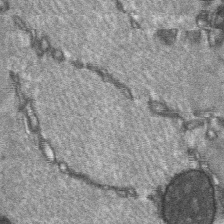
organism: C57BL Mouse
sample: Soleus